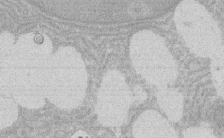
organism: Rat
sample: Salivary granule